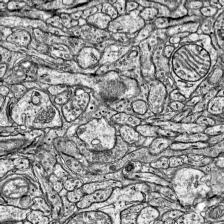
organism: Mouse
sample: Visual Cortex